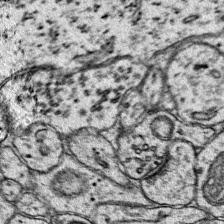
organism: Mouse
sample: Primary visual cortex